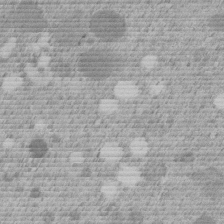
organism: C. elegans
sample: C. elegans embryo early stage